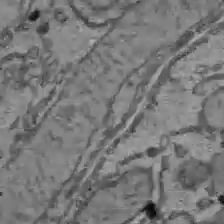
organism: C57BL Mouse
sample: Liver